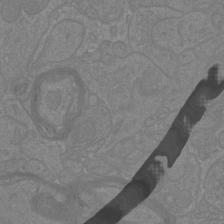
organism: Mouse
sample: Cortical neurons